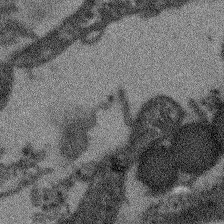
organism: Arabidopsis thaliana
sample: Root tip